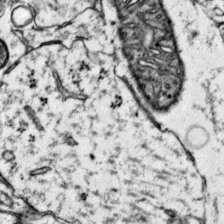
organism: Mouse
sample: Primary visual cortex